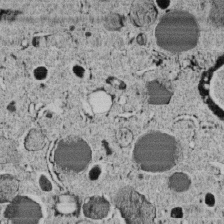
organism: C. elegans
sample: C. elegans embryo early stage